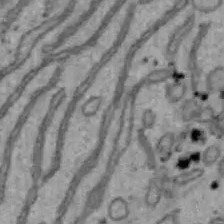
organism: Mouse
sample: Liver